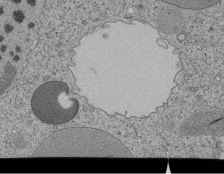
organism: Tetrahymena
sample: Cilia in tetrahymena